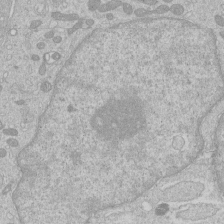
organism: Human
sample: Macrophage cells